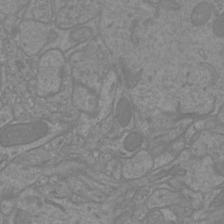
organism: Mouse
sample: Cortical neurons